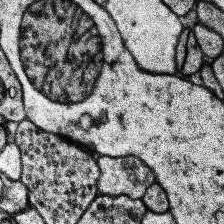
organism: Human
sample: Temporal Lobe